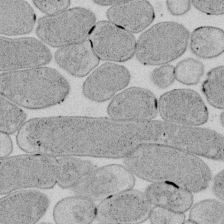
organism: E. coli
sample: Bacterial nucleoid